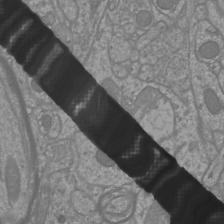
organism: Mouse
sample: Cortical neurons